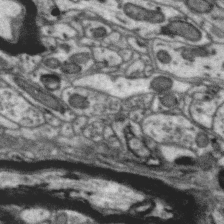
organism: Zebra finch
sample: Brain